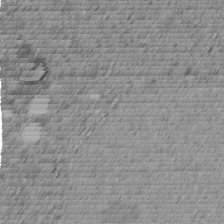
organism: C. elegans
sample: C. elegans embryo early stage